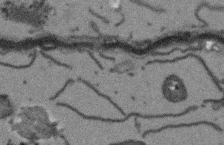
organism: Arabidopsis thaliana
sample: Root tip